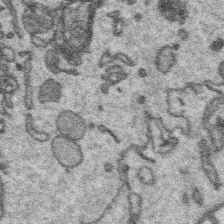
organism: Platynereis dumerilii